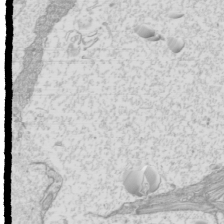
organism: Mouse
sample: Cilia; mouse epididymis